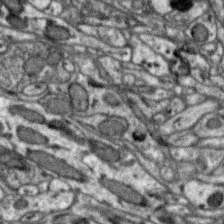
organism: Zebra finch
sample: Brain